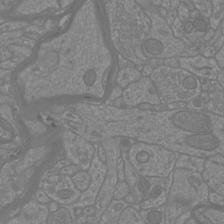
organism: Mouse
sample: Cortical neurons